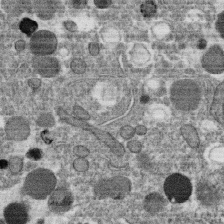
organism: C. elegans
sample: C. elegans oocyte; sperm cells